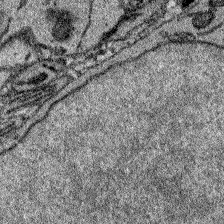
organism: Zebrafish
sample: Larval olfactory bulb